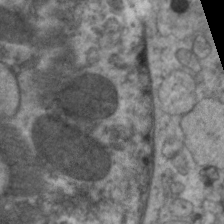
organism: C. elegans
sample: Pharynx